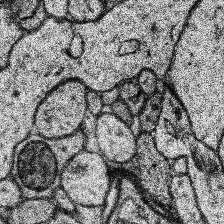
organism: Human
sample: Temporal Lobe